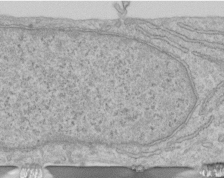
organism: Human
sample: Centriole in RPE cells